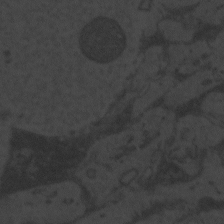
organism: Zebrafish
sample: Macrophage infected with Toxoplasma gondii